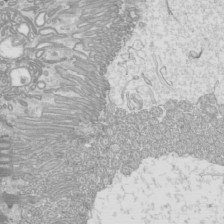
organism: Mouse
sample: Cilia; mouse epididymis